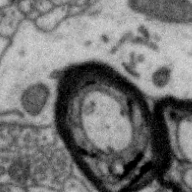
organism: Zebra finch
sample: Brain